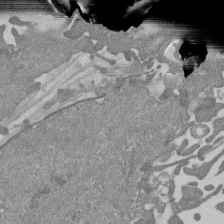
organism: Mouse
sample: ED-1 cell nuclei; centrioles